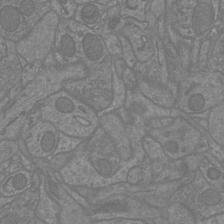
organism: Mouse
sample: Cortical neurons